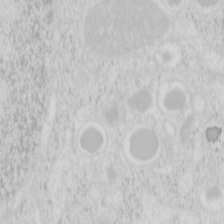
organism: Mouse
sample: Pancreas